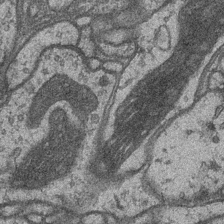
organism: Drosophila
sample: Optic medulla